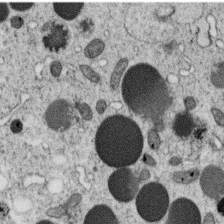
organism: C. elegans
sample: C. elegans oocyte; sperm cells